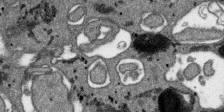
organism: Human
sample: Lung epithelial cells, uninfected (mock) control